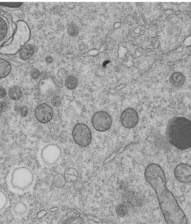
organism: C. elegans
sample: C. elegans embryo early stage